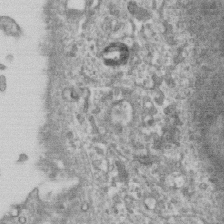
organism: Human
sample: Centriole in RPE cells